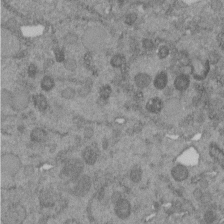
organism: C. elegans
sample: C. elegans embryo early stage